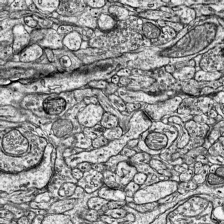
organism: Mouse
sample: Visual Cortex